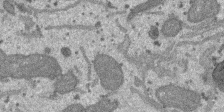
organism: Human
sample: Lung epithelial cells infected with SARS-CoV-2